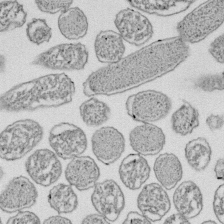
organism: E. coli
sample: Bacterial nucleoid